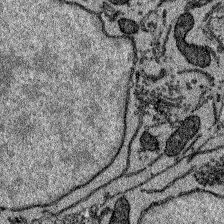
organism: Zebrafish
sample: Larval olfactory bulb